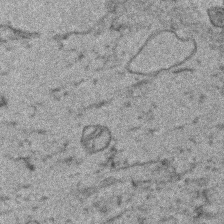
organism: Human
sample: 1205lu cells